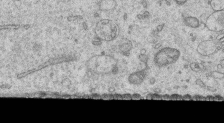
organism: Human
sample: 1205lu cells